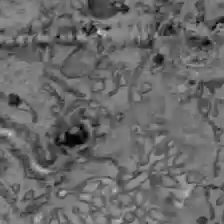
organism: C57BL Mouse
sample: Liver